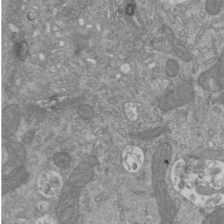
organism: Mouse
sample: ED-1 cell nuclei; centrioles